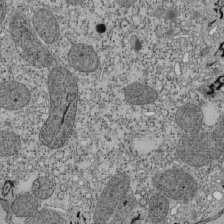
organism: Tetrahymena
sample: Cilia in tetrahymena